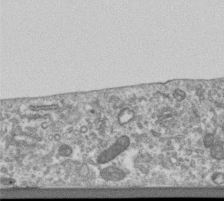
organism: Human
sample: Centriole in RPE cells